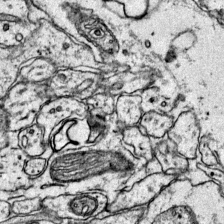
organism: Mouse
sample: Primary visual cortex